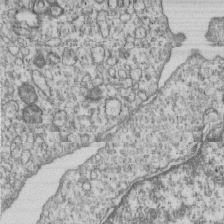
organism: Human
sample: MDA-MB-231 cells